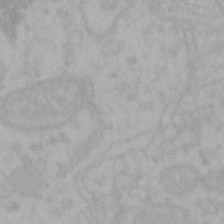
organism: Mouse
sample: Choroid plexus